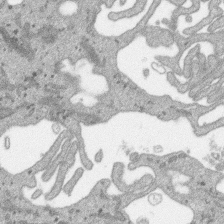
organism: Human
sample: Lung epithelial cells infected with SARS-CoV-2